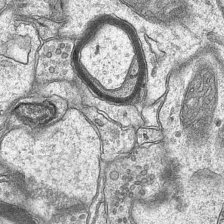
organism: Mouse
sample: CA1 Hippocampus